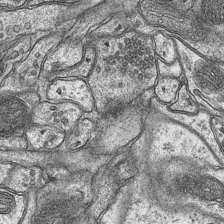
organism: Mouse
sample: CA1 Hippocampus